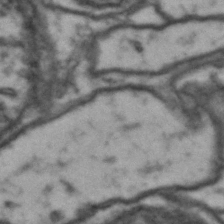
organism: Drosophila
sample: Brain